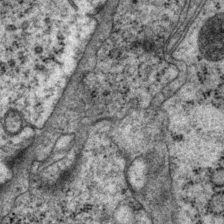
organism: P. pacificus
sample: Pharynx